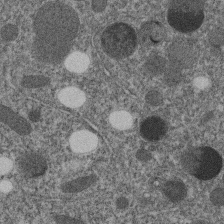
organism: C. elegans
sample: C. elegans embryo early stage